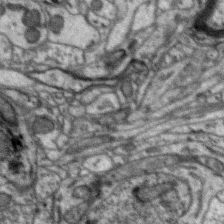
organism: Zebra finch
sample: Brain